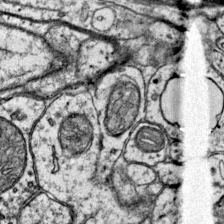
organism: Mouse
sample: Primary visual cortex